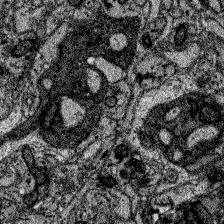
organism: Zebrafish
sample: Larval olfactory bulb